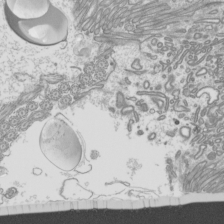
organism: Mouse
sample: Cilia; mouse epididymis